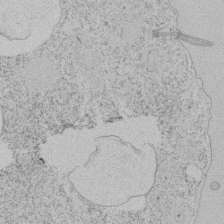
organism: Tetrahymena